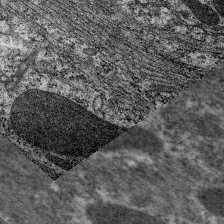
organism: C. elegans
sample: Pharynx